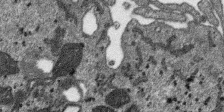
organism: Human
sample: Lung epithelial cells infected with SARS-CoV-2